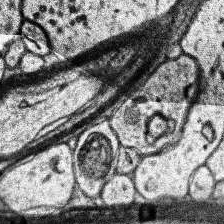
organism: Human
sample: Temporal Lobe